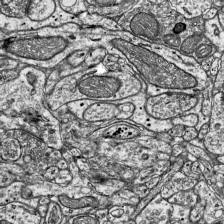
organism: Mouse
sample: Visual Cortex